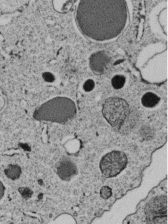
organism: C. elegans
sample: C. elegans embryo early stage